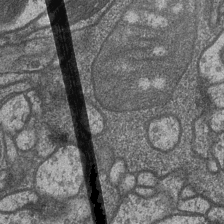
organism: Drosophila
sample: Optic medulla